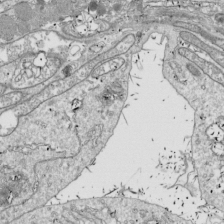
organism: Drosophila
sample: Cell division; meiosis; drosophila spermatocytes